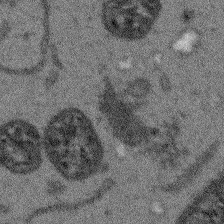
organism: Arabidopsis thaliana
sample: Root tip